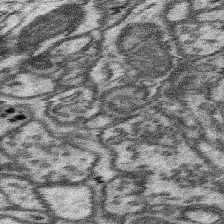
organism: Mouse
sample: Somatosensory cortex neuropil